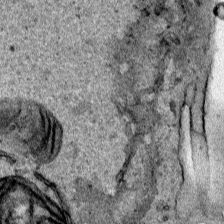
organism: Human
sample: Mitochondria in HCT116 cells